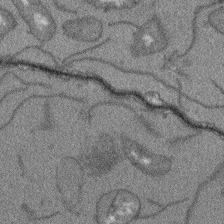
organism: Arabidopsis thaliana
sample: Root tip